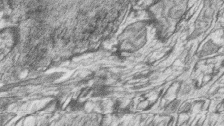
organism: Zebrafish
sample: synaptic ribbons in rod cells and cone cells